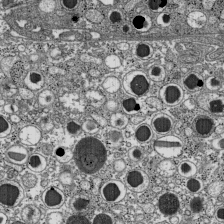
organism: C57BL Mouse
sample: Pancreatic islet